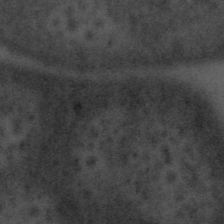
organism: Tuwongella immobilis